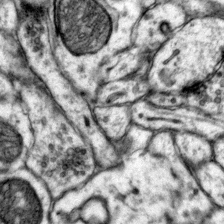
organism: Mouse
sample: Primary visual cortex